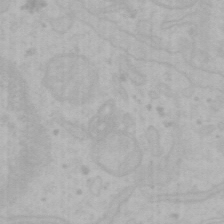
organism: Mouse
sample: Choroid plexus